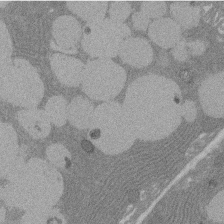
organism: Rat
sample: Salivary granule